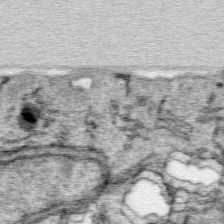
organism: Human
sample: HeLa cells